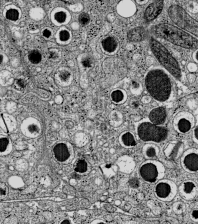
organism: C57BL Mouse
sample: Pancreatic islet